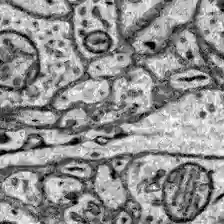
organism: Zebrafish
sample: Brain